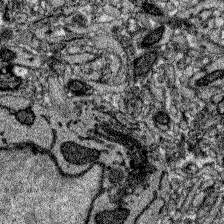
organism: Zebrafish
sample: Larval olfactory bulb